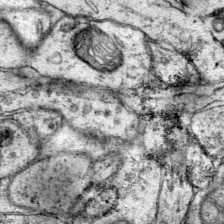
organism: Mouse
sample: Primary visual cortex